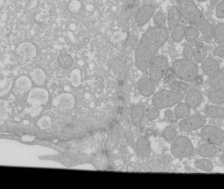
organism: Xenopus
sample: Cilia; centrioles in frog embryo cells